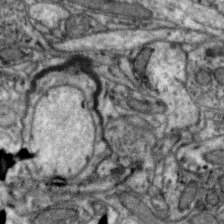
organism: Zebra finch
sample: Brain